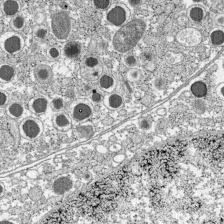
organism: C57BL Mouse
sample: Pancreatic islet